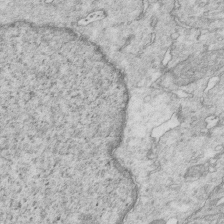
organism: Mouse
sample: Multiciliated cells